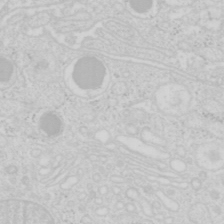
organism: Mouse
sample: Pancreas